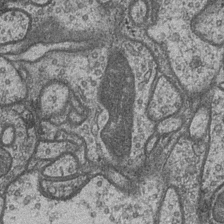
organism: Drosophila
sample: Optic medulla